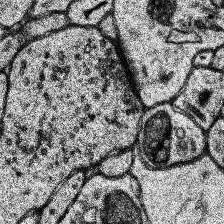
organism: Human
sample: Temporal Lobe